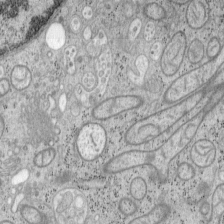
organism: Mouse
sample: OT-I killer T cells with ID8 ovarian cancer cells